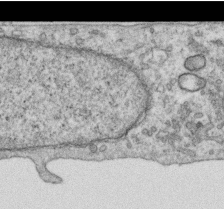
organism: Human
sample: Centriole in RPE cells